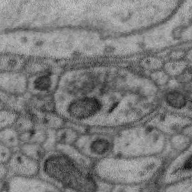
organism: Zebra finch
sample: Brain